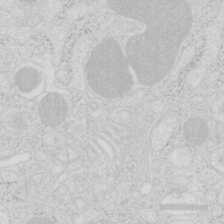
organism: Mouse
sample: Pancreas